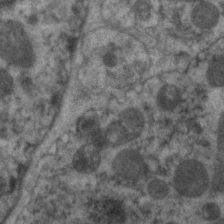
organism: C. elegans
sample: Pharynx